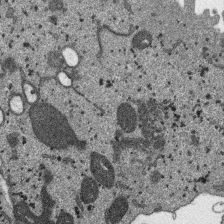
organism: Human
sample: Lung epithelial cells infected with SARS-CoV-2